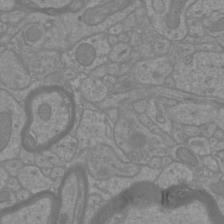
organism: Mouse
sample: Cortical neurons